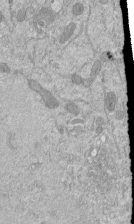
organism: Mouse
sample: ED-1 cell nuclei; centrioles